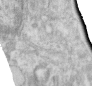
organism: Human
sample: Centriole in RPE cells